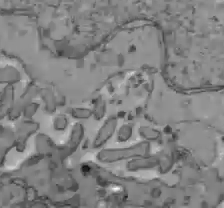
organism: C57BL Mouse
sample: Liver